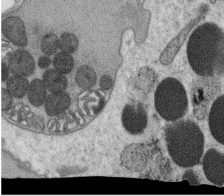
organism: C. elegans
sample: C. elegans oocyte; sperm cells